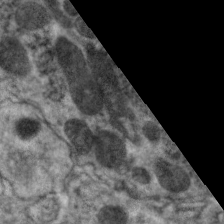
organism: C. elegans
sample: Pharynx